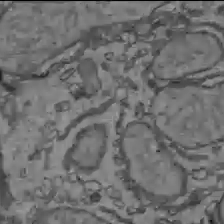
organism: C57BL Mouse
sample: Liver